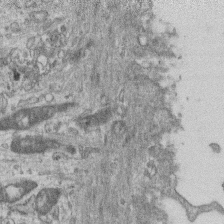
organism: Mouse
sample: Centriole in ependymal cells